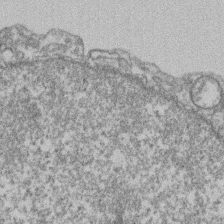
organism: Mouse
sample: T cell stromal cell synapse